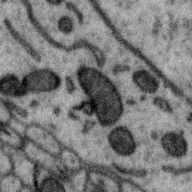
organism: Zebra finch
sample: Brain